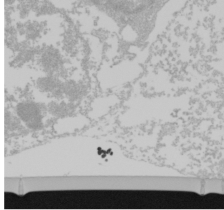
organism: Mouse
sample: Cancer cell death in ED-1 cells